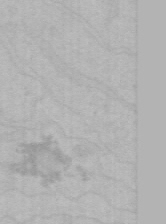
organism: Mouse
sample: Choroid plexus